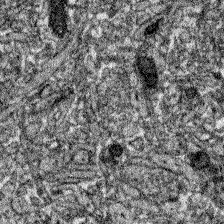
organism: Zebrafish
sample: Larval olfactory bulb